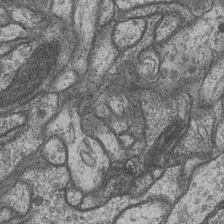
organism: Drosophila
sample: Optic medulla